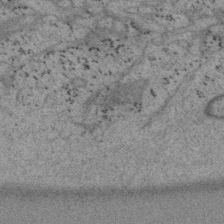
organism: Human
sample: HeLa cells